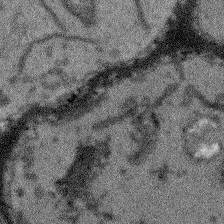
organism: Arabidopsis thaliana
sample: Root tip